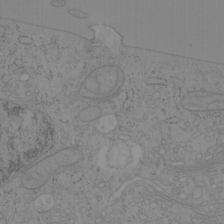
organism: Human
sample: HeLa cells